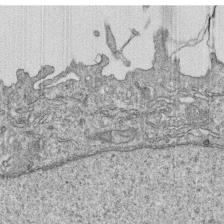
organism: Human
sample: HeLa cell HIV synapse